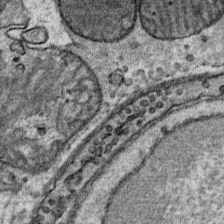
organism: Mouse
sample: Mouse Salivary gland